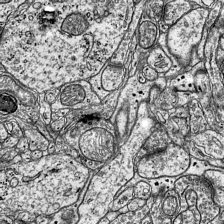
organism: Mouse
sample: Visual Cortex